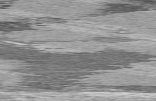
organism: C57BL Mouse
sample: Heart